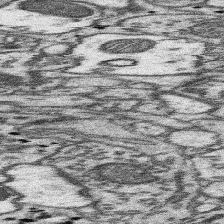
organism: Mouse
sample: Somatosensory cortex neuropil